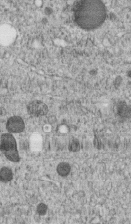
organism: C. elegans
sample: C. elegans embryo early stage